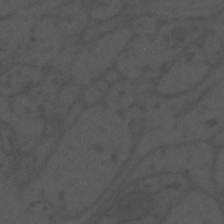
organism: Mouse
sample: Suprachiasmatic nucleus